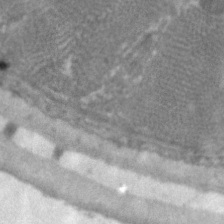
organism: C. elegans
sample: Pharynx